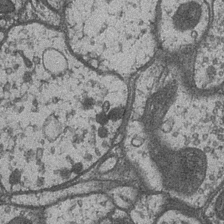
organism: Drosophila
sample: Optic medulla